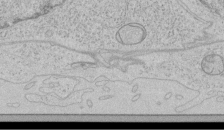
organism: Human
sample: Mitochondria in HCT116 cells